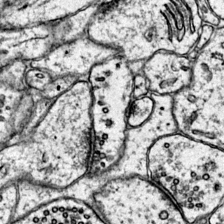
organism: Mouse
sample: Primary visual cortex